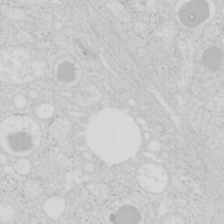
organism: Mouse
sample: Pancreas